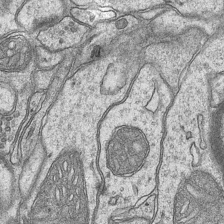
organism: Mouse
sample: CA1 Hippocampus